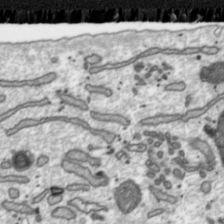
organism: Toxoplasma gondii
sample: Parasites in a vacuole inside a host cell